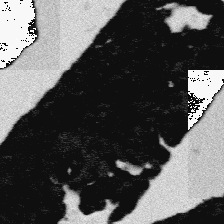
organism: Platynereis dumerilii